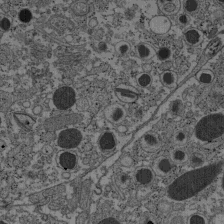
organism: C57BL Mouse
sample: Pancreatic islet